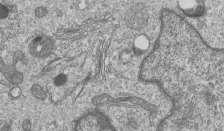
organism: Human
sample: MDA-MB-231 cells